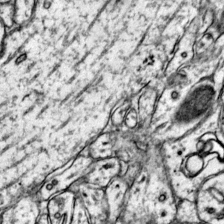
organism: Mouse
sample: Primary visual cortex